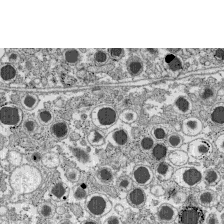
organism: C57BL Mouse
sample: Pancreatic islet